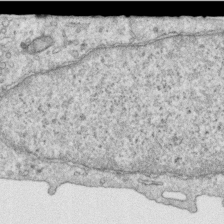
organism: Human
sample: Centriole in RPE cells